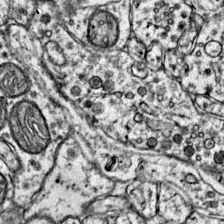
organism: Mouse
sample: Primary visual cortex